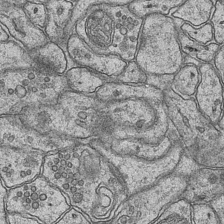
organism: Mouse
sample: CA1 Hippocampus